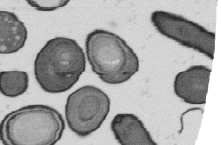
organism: B. subtilis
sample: Bacterial spore